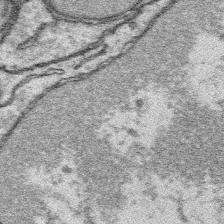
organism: Platynereis dumerilii